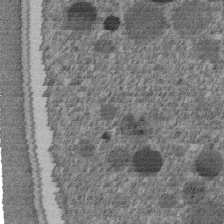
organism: C. elegans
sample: C. elegans embryo early stage